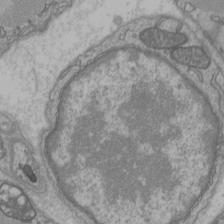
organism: C57BL Mouse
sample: Heart